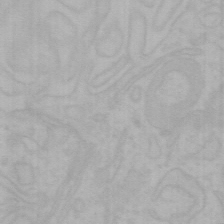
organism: Mouse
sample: Choroid plexus